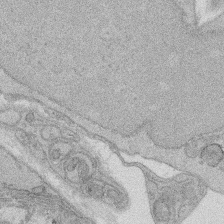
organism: Rat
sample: Salivary granule